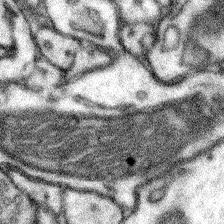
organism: Mouse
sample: Somatosensory cortex neuropil